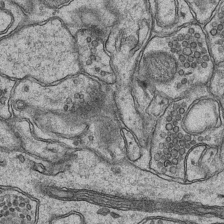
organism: Mouse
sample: CA1 Hippocampus